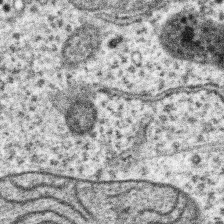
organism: Human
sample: HeLa cells